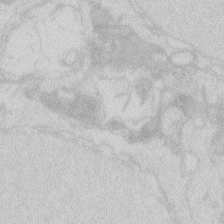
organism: Zebrafish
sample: Macrophage